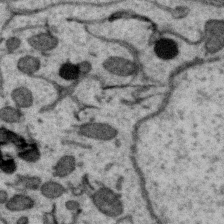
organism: Zebra finch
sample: Brain